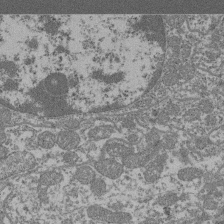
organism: Mouse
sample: Glomerulus